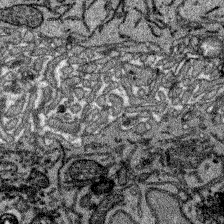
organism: Zebrafish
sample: Larval olfactory bulb